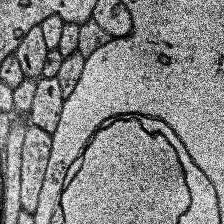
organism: Human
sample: Temporal Lobe